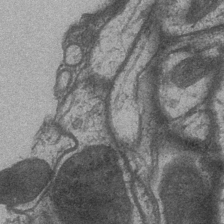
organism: Drosophila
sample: Optic medulla